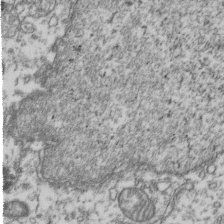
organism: Human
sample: Activated Jurkat CD4+ T cells